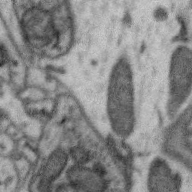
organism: Zebra finch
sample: Brain